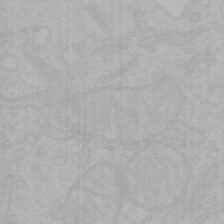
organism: Mouse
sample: Choroid plexus